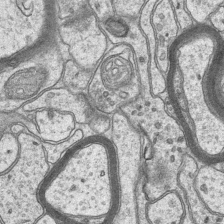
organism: Mouse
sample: CA1 Hippocampus